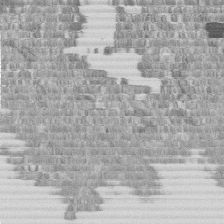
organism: Human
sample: Centriole in fibroblast cells